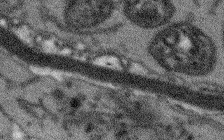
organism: Arabidopsis thaliana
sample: Root tip